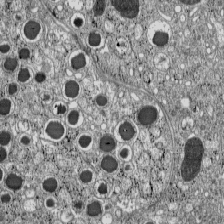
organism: C57BL Mouse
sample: Pancreatic islet